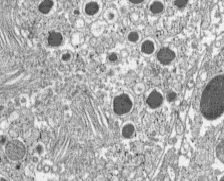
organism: C57BL Mouse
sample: Pancreatic islet